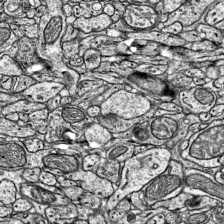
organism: Mouse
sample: Visual Cortex